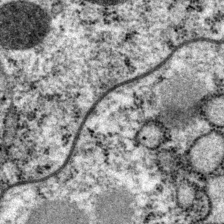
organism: P. pacificus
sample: Pharynx